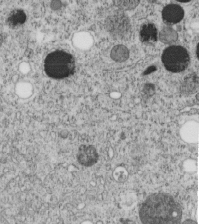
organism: C. elegans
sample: C. elegans embryo early stage